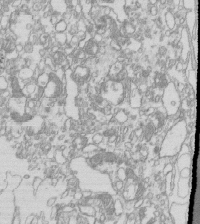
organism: Mouse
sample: Macrophages